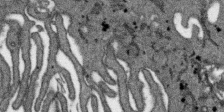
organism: Human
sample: Lung epithelial cells, uninfected (mock) control